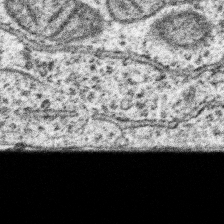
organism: Human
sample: HeLa cells